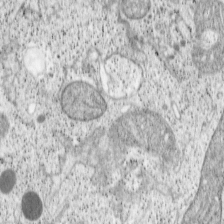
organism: African green monkey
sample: COS-7 cells